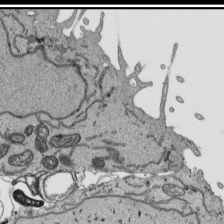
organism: Human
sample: Mitochondria in HCT116 cells